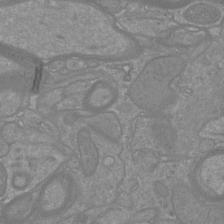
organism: Mouse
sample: Cortical neurons